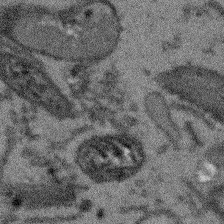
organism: Arabidopsis thaliana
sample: Root tip